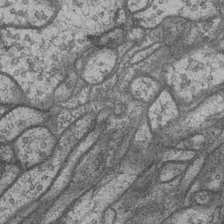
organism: Drosophila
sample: Optic medulla